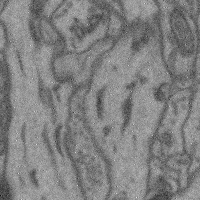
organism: Mouse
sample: Cerebral cortex